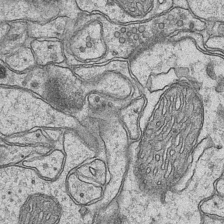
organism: Mouse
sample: CA1 Hippocampus